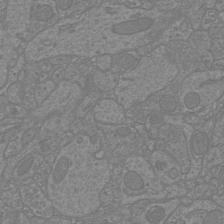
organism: Mouse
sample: Cortical neurons